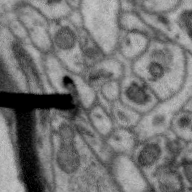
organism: Zebra finch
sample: Brain